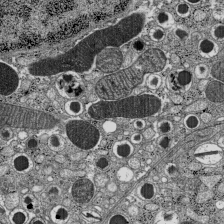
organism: C57BL Mouse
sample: Pancreatic islet